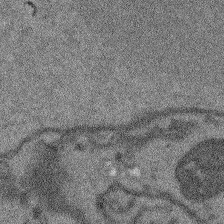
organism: Arabidopsis thaliana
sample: Root tip